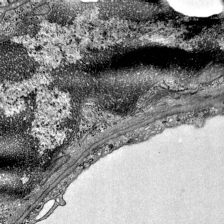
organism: Mouse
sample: Visual Cortex